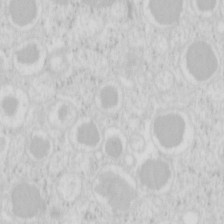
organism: Mouse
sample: Pancreas